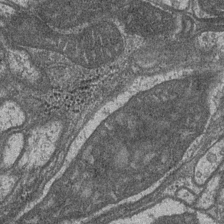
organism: Drosophila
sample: Optic medulla